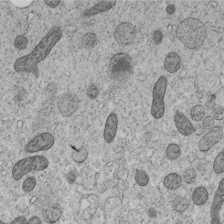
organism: C. elegans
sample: C. elegans embryo early stage